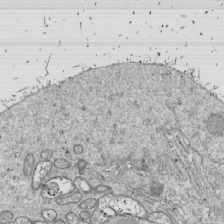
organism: Drosophila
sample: Cell division; meiosis; drosophila spermatocytes